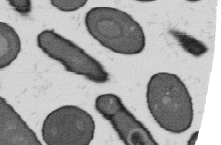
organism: B. subtilis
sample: Bacterial spore